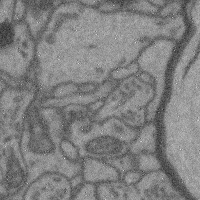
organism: Mouse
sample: Cerebral cortex